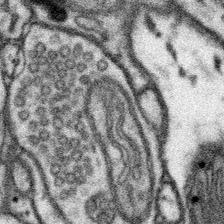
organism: Mouse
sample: Somatosensory cortex neuropil